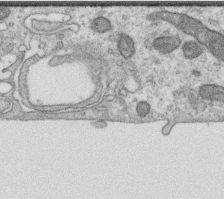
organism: Human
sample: Centriole in RPE cells